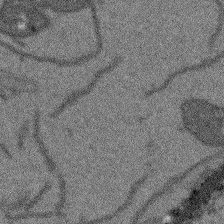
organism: Arabidopsis thaliana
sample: Root tip